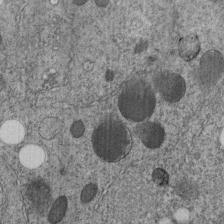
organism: C. elegans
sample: C. elegans embryo early stage